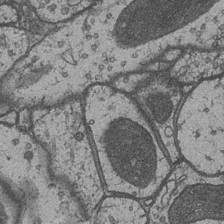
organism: Drosophila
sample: Optic medulla